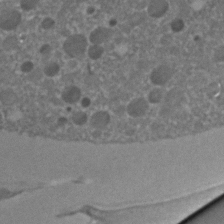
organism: C. elegans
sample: C. elegans embryo